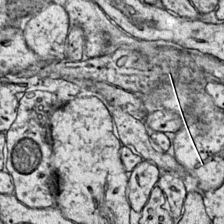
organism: Mouse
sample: Primary visual cortex